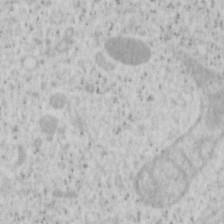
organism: Human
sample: HeLa cells